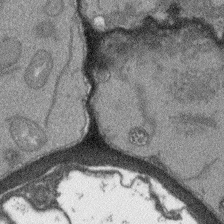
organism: Arabidopsis thaliana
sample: Root tip